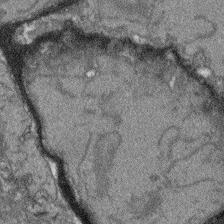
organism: Arabidopsis thaliana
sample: Root tip